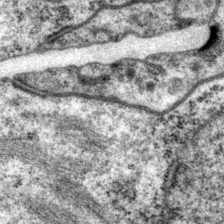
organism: P. pacificus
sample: Pharynx